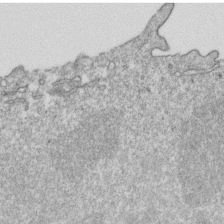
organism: Mouse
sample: Activated OT-1 CD8+ T cells